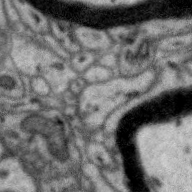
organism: Zebra finch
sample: Brain